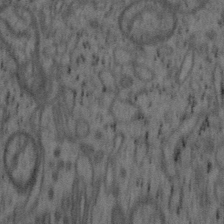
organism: Human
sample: HeLa cells